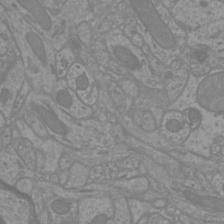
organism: Mouse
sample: Cortical neurons